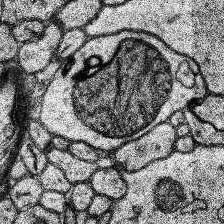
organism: Human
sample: Temporal Lobe